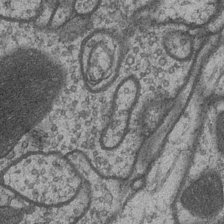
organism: Drosophila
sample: Optic medulla